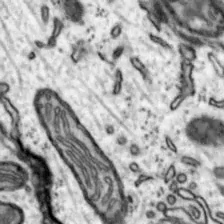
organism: Mouse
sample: Nucleus accumbens